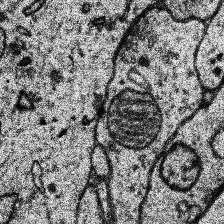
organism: Human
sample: Temporal Lobe